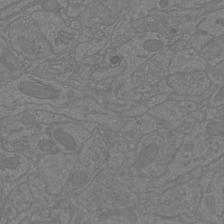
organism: Mouse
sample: Cortical neurons